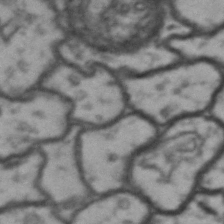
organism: Drosophila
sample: Brain